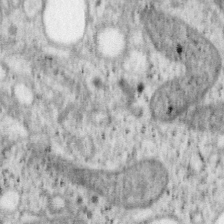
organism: Mouse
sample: OT-I killer T cells with ID8 ovarian cancer cells